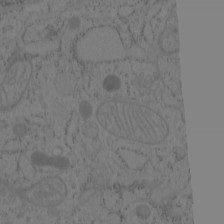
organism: Human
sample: HeLa cells